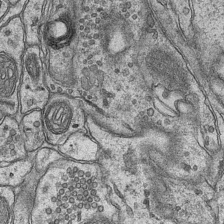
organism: Mouse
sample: CA1 Hippocampus